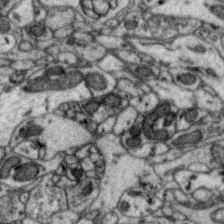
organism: Zebra finch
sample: Brain